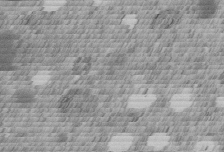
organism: C. elegans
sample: C. elegans embryo early stage